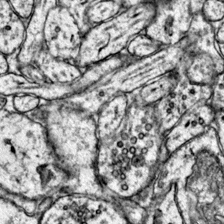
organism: Mouse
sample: Primary visual cortex